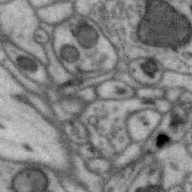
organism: Zebra finch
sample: Brain